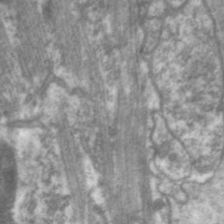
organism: C. elegans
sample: Pharynx